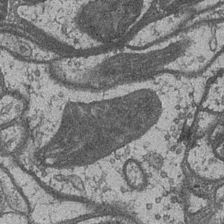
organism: Drosophila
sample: Optic medulla